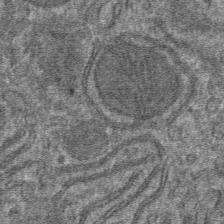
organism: Mouse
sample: Mouse hepatocytes